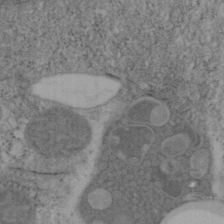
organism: Mouse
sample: OT-I killer T cells with ID8 ovarian cancer cells